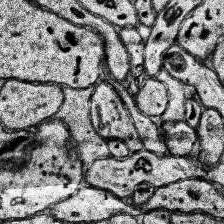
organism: Human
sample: Temporal Lobe